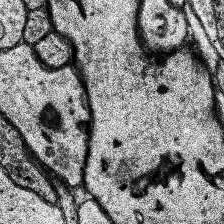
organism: Human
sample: Temporal Lobe